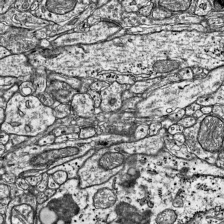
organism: Mouse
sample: Visual Cortex